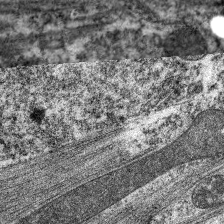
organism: C. elegans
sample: Pharynx